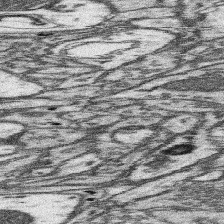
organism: Mouse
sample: Somatosensory cortex neuropil